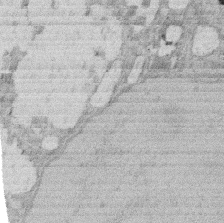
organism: Rat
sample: Salivary granule